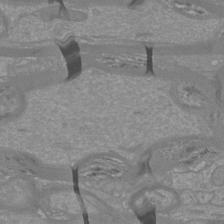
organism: Mouse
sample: Cortical neurons